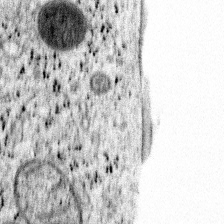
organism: Human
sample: HeLa cells